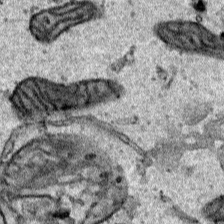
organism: Human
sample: Mitochondria in HCT116 cells